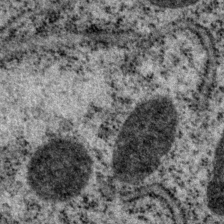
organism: P. pacificus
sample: Pharynx